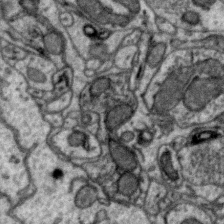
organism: Zebra finch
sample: Brain